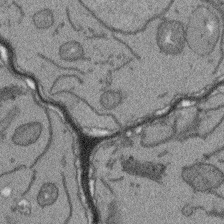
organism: Arabidopsis thaliana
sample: Root tip